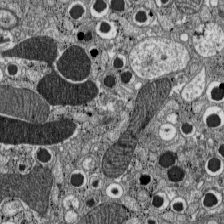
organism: C57BL Mouse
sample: Pancreatic islet